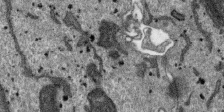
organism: Human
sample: Lung epithelial cells, uninfected (mock) control